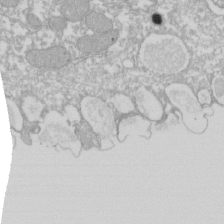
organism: Xenopus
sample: Cilia; centrioles in frog embryo cells